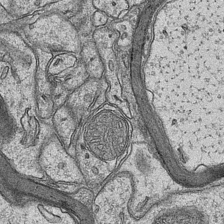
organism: Mouse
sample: CA1 Hippocampus